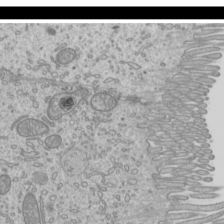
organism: Mouse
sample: Cilia; mouse epididymis